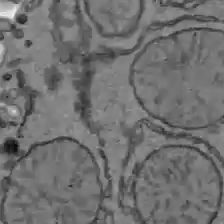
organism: C57BL Mouse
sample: Liver